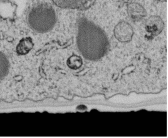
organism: C. elegans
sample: C. elegans embryo early stage